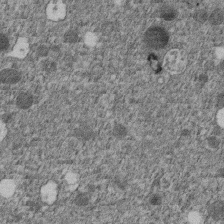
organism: C. elegans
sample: C. elegans embryo early stage